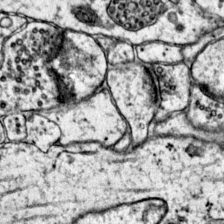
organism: Mouse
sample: Primary visual cortex